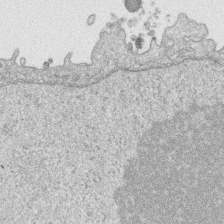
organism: Human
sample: HeLa cell HIV synapse